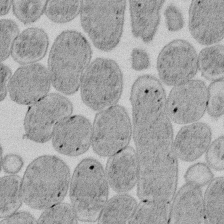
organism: E. coli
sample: Bacterial nucleoid